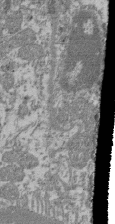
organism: Mouse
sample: Glomerulus